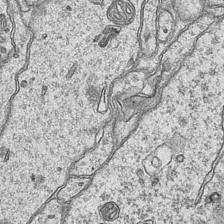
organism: Mouse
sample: CA1 Hippocampus